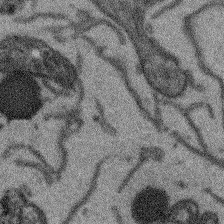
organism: Arabidopsis thaliana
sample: Root tip